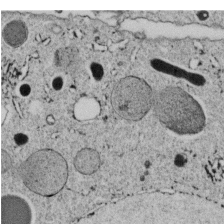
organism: C. elegans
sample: C. elegans embryo early stage